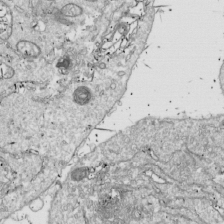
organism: Drosophila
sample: Cell division; meiosis; drosophila spermatocytes